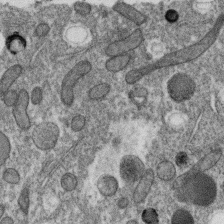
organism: C. elegans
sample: C. elegans oocyte; sperm cells